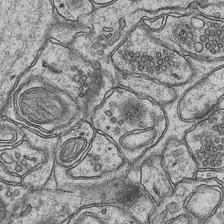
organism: Mouse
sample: CA1 Hippocampus